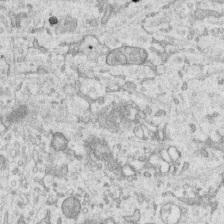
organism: Human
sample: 1205lu cells